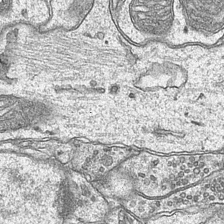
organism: Mouse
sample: CA1 Hippocampus